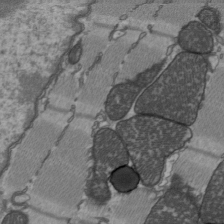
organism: C57BL Mouse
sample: Heart